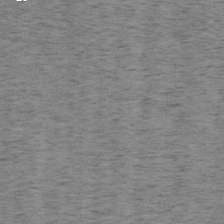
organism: Mouse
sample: OT-I killer T cells with ID8 ovarian cancer cells